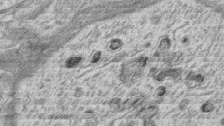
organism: Zebrafish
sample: synaptic ribbons in rod cells and cone cells